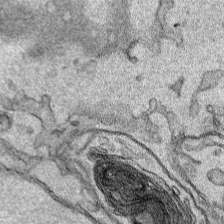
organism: Human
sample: Mitochondria in HCT116 cells